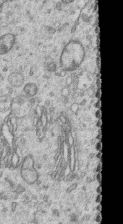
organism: Human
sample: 1205lu cells